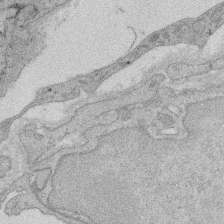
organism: Rat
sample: Salivary granule